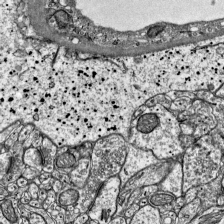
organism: Mouse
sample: Visual Cortex